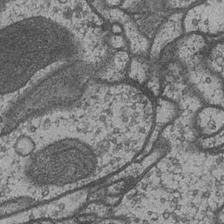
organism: Drosophila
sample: Optic medulla